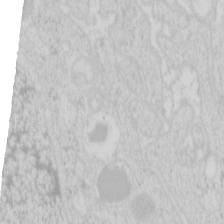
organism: Mouse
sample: Pancreas